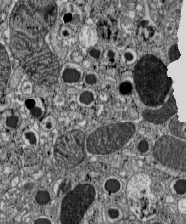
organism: C57BL Mouse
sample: Pancreatic islet